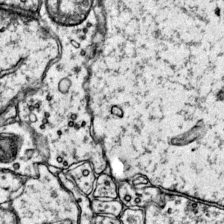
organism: Mouse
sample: Primary visual cortex